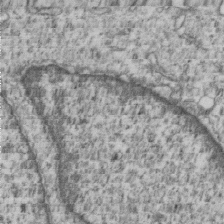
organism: Human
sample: MDA-MB-231 cells